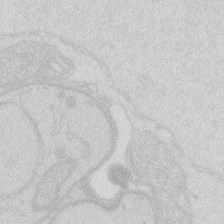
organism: Zebrafish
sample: Macrophage